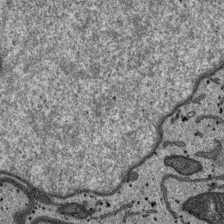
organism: Human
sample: Lung epithelial cells, uninfected (mock) control